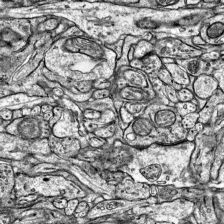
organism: Mouse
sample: Visual Cortex